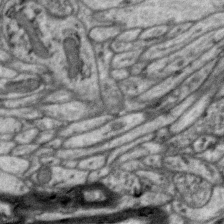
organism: Zebra finch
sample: Brain